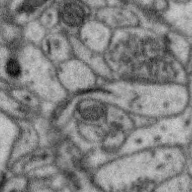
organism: Zebra finch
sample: Brain